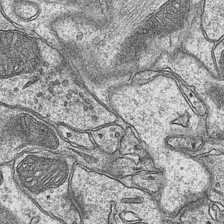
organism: Mouse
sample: CA1 Hippocampus